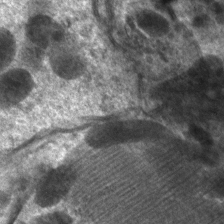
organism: C. elegans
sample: Pharynx